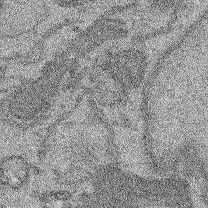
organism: Human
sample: HeLa cells